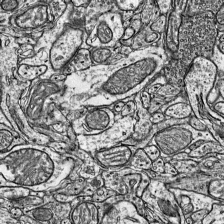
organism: Mouse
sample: Visual Cortex